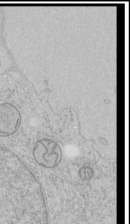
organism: Human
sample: Mitochondria in HCT116 cells